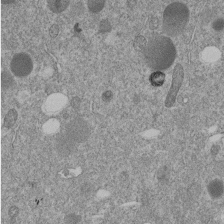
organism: C. elegans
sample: C. elegans embryo early stage